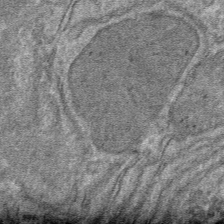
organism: Mouse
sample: Mouse hepatocytes